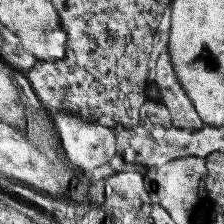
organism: Human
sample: Temporal Lobe